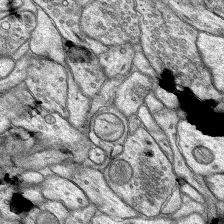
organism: Rat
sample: Hippocampus